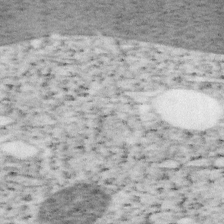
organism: Mouse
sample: OT-I killer T cells with ID8 ovarian cancer cells